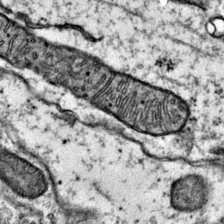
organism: Mouse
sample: Primary visual cortex